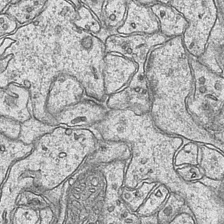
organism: Mouse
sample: CA1 Hippocampus